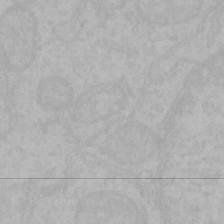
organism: Mouse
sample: Choroid plexus